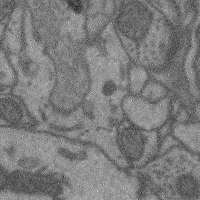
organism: Mouse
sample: Cerebral cortex